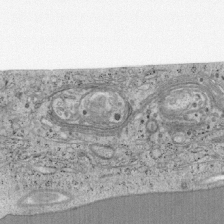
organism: Human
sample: HeLa cells